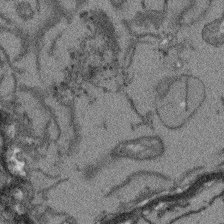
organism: Arabidopsis thaliana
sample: Root tip